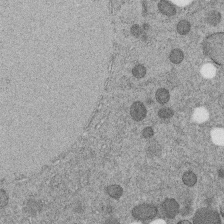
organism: C. elegans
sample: C. elegans embryo early stage